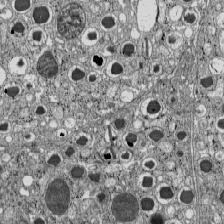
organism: C57BL Mouse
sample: Pancreatic islet